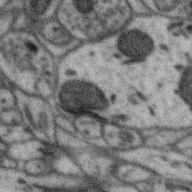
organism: Zebra finch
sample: Brain